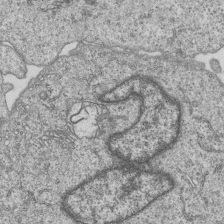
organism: Human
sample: MDA-MB-231 cells